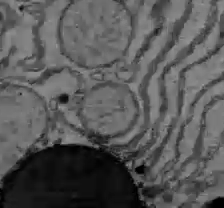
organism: C57BL Mouse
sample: Liver